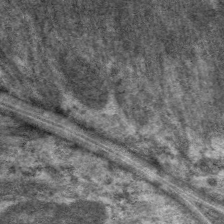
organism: C. elegans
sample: Pharynx